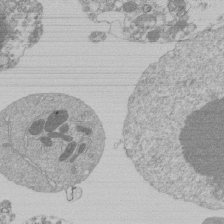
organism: Mouse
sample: Activated Pmel transgenic CD8+ T Cells